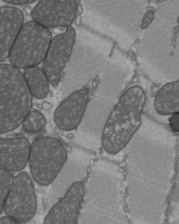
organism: C57BL Mouse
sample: Heart